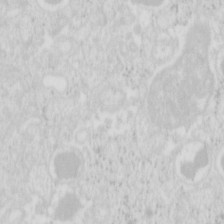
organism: Mouse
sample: Pancreas